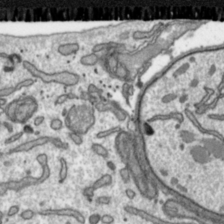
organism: Toxoplasma gondii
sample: Parasites in a vacuole inside a host cell